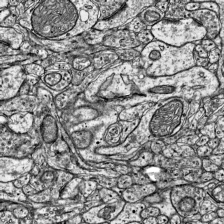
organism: Mouse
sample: Visual Cortex